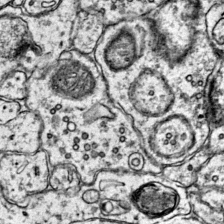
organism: Mouse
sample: Primary visual cortex